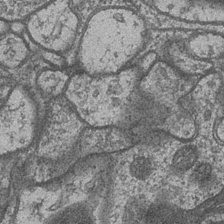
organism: Drosophila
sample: Optic medulla